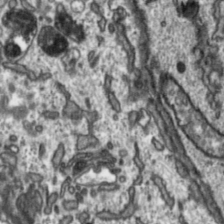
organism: Toxoplasma gondii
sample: Parasites in a vacuole inside a host cell